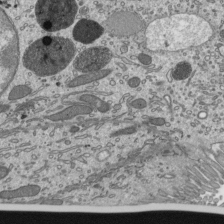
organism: Mouse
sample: Mouse epididymis efferent ductule cilia